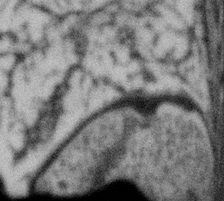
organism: Gemmata obscuriglobus